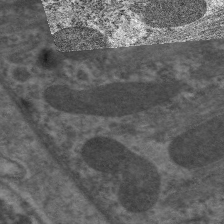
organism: C. elegans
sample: Pharynx